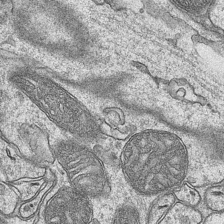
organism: Mouse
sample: CA1 Hippocampus